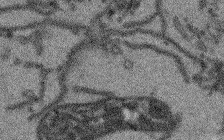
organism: Arabidopsis thaliana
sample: Root tip